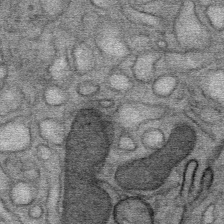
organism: Mouse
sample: Mouse Salivary gland